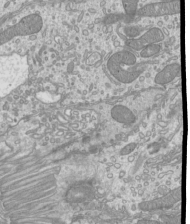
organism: Mouse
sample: Cilia; mouse epididymis